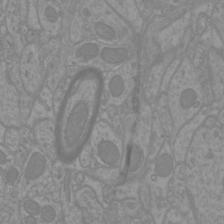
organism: Mouse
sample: Cortical neurons